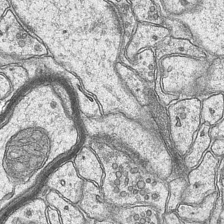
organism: Mouse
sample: CA1 Hippocampus